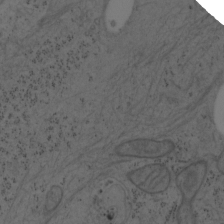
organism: Mouse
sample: OT-I killer T cells with ID8 ovarian cancer cells